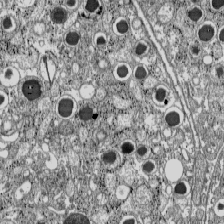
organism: C57BL Mouse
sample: Pancreatic islet